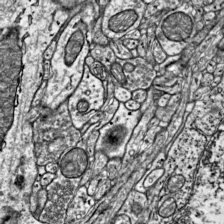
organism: Mouse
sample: Visual Cortex